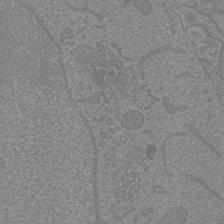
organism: Mouse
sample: Cortical neurons